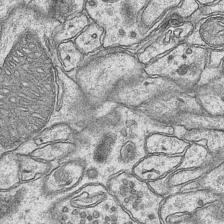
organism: Mouse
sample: CA1 Hippocampus